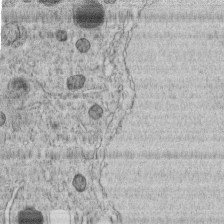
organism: C. elegans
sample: C. elegans embryo early stage